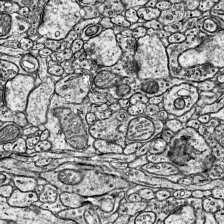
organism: Mouse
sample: Visual Cortex